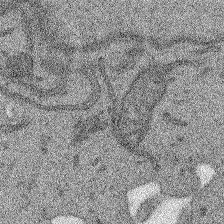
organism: Human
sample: HeLa cells